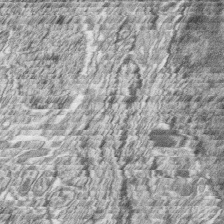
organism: Zebrafish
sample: synaptic ribbons in rod cells and cone cells